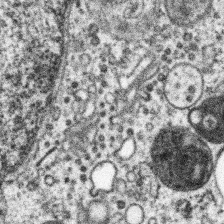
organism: Human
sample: HeLa cells